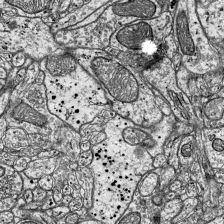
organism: Mouse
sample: Visual Cortex